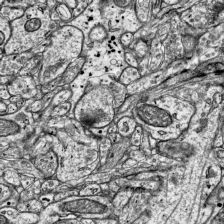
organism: Mouse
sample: Visual Cortex